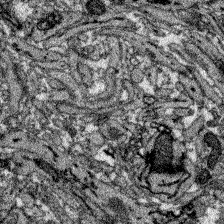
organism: Zebrafish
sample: Larval olfactory bulb